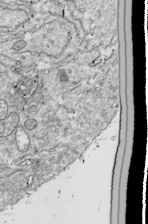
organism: Drosophila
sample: Cell division; meiosis; drosophila spermatocytes